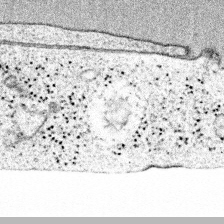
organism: Human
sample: HeLa cells